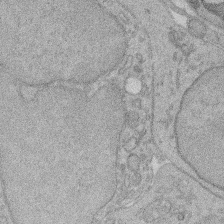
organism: Rat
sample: Salivary granule